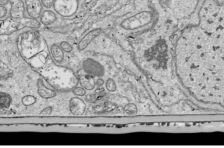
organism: Drosophila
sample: Cell division; meiosis; drosophila spermatocytes